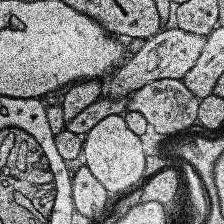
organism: Human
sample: Temporal Lobe